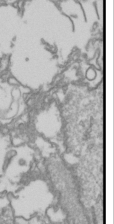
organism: Drosophila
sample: Cell division; meiosis; drosophila spermatocytes